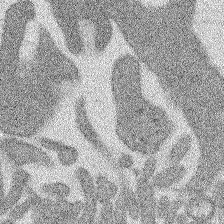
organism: Human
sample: HeLa cells